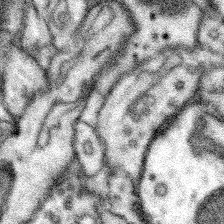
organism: Mouse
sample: Somatosensory cortex neuropil